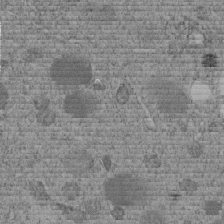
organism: C. elegans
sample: C. elegans embryo early stage